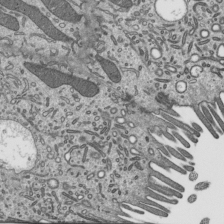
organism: Mouse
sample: Mouse epididymis efferent ductule cilia